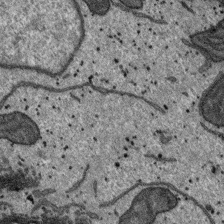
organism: Human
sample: Lung epithelial cells, uninfected (mock) control